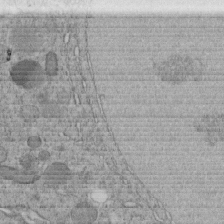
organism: C. elegans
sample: C. elegans embryo early stage